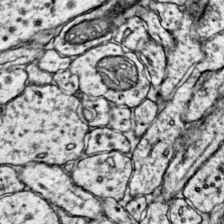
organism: Mouse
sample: Primary visual cortex